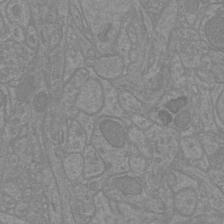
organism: Mouse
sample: Cortical neurons